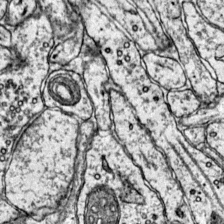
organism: Mouse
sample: Primary visual cortex